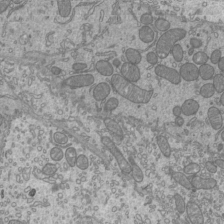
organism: Mouse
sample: Cilia; mouse epididymis